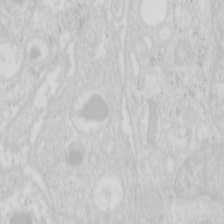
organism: Mouse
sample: Pancreas